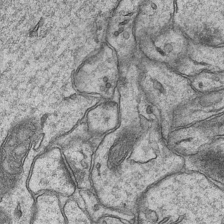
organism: Mouse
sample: CA1 Hippocampus